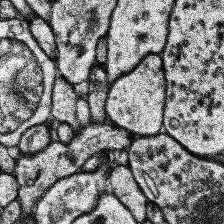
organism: Human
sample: Temporal Lobe